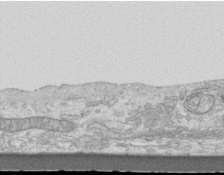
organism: Mouse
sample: Centriole in ependymal cells